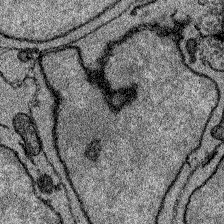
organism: Zebrafish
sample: Larval olfactory bulb